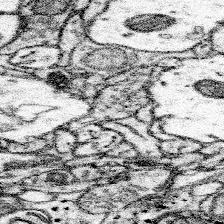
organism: Mouse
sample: Somatosensory cortex neuropil